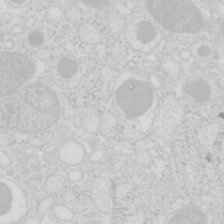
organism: Mouse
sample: Pancreas